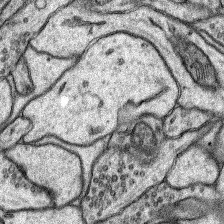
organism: Rat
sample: Hippocampus